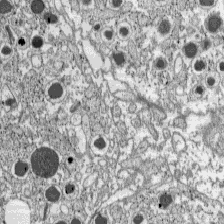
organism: C57BL Mouse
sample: Pancreatic islet